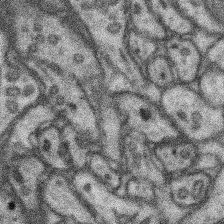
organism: Mouse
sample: Somatosensory cortex neuropil